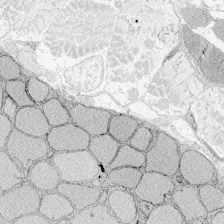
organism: Zebrafish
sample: Whole-Brain